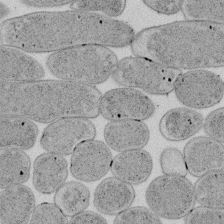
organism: E. coli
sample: Bacterial nucleoid